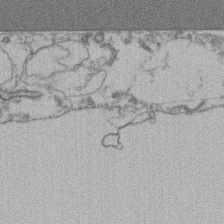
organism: Mouse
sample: T cell stromal cell synapse